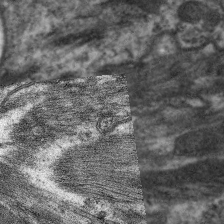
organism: C. elegans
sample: Pharynx